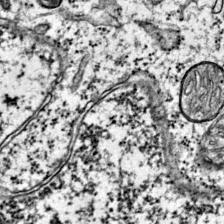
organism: Mouse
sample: Primary visual cortex